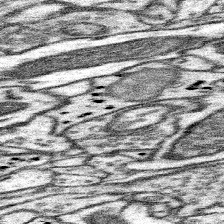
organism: Mouse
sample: Somatosensory cortex neuropil